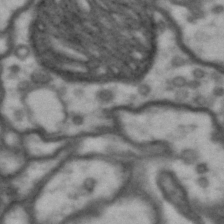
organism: Drosophila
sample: Brain